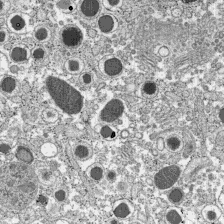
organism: C57BL Mouse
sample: Pancreatic islet